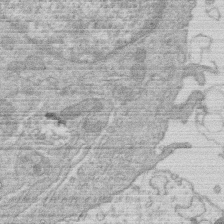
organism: Human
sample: Macrophage cells